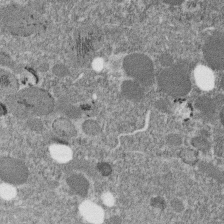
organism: C. elegans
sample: C. elegans embryo early stage